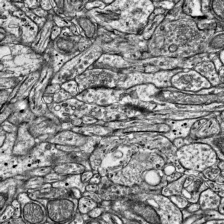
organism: Mouse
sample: Visual Cortex